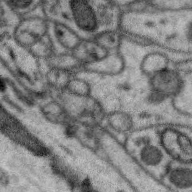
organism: Zebra finch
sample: Brain